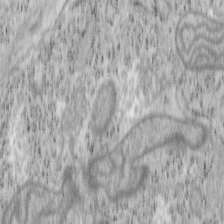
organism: Human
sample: HeLa cells